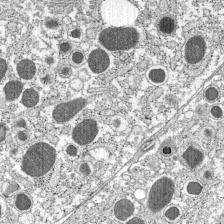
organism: C57BL Mouse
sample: Pancreatic islet